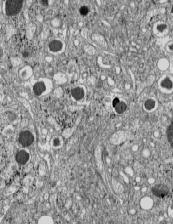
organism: C57BL Mouse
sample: Pancreatic islet